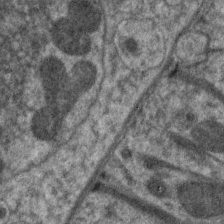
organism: C. elegans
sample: Pharynx